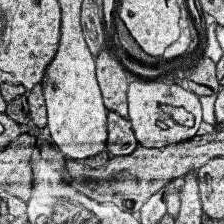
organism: Human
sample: Temporal Lobe